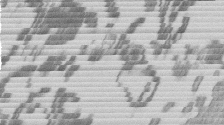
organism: Mouse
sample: Dividing mouse embryo 1 cell stage